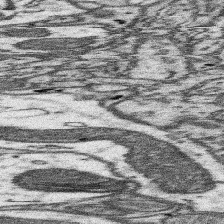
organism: Mouse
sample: Somatosensory cortex neuropil